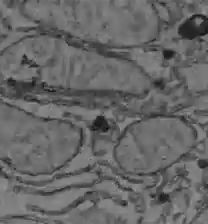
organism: C57BL Mouse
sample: Liver